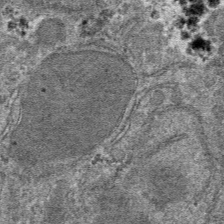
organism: Mouse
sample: Mouse hepatocytes